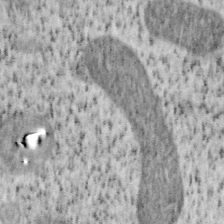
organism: Mouse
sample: OT-I killer T cells with ID8 ovarian cancer cells